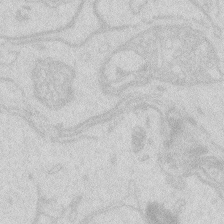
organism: Zebrafish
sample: Macrophage